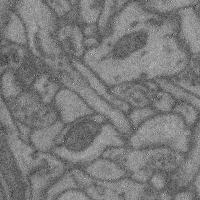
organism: Mouse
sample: Cerebral cortex